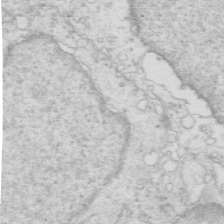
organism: Mouse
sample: Multiciliated cells